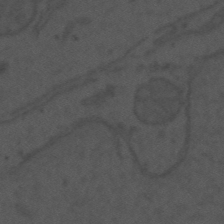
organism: Mouse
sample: Suprachiasmatic nucleus